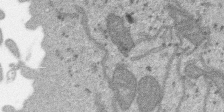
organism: Human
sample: Lung epithelial cells infected with SARS-CoV-2